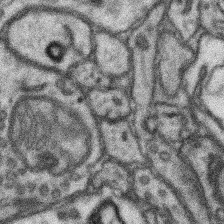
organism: Mouse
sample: Somatosensory cortex neuropil